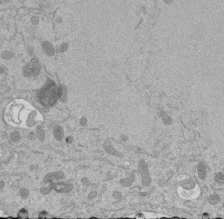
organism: Mouse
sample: ED-1 cell nuclei; centrioles